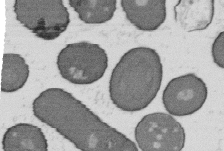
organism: B. subtilis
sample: Bacterial spore